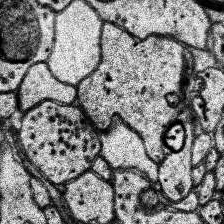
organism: Human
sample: Temporal Lobe